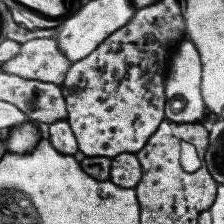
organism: Human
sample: Temporal Lobe